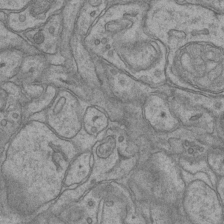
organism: Mouse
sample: CA1 Hippocampus